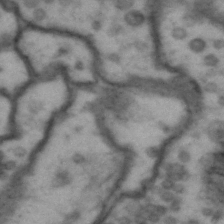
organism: Drosophila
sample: Brain